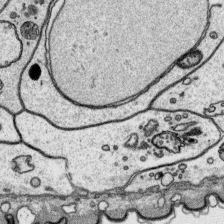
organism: Platynereis dumerilii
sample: Parapodia